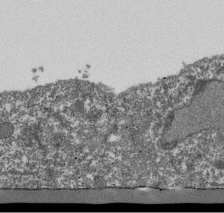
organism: Dictyostelium discoideum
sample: Dictyostelium multivesicular bodies